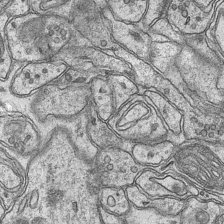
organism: Mouse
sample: CA1 Hippocampus